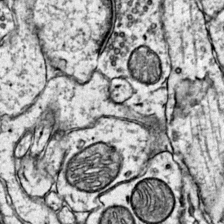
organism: Mouse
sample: Primary visual cortex